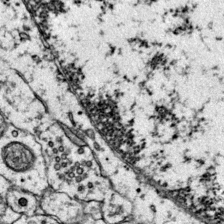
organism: Mouse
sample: Primary visual cortex